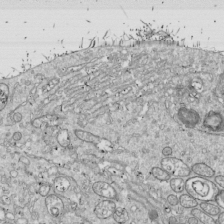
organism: Drosophila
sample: Cell division; meiosis; drosophila spermatocytes